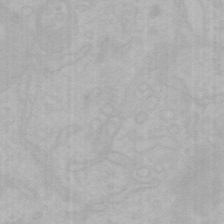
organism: Mouse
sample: Choroid plexus